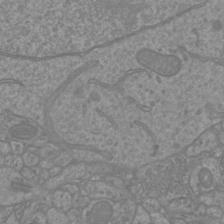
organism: Mouse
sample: Cortical neurons